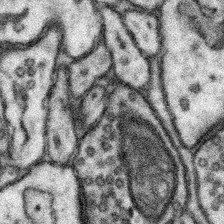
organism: Mouse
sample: Somatosensory cortex neuropil